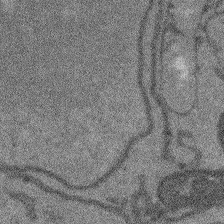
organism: Arabidopsis thaliana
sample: Root tip